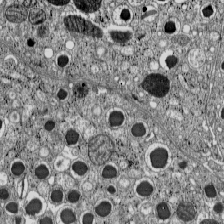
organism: C57BL Mouse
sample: Pancreatic islet